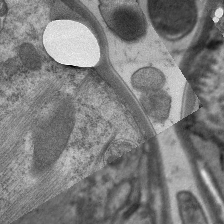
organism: C. elegans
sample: Pharynx